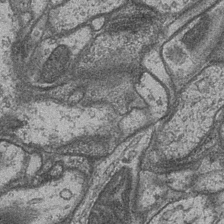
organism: Drosophila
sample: Optic medulla